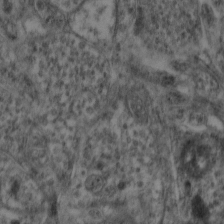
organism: Mouse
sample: Neocortex